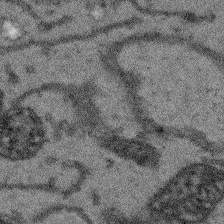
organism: Arabidopsis thaliana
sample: Root tip